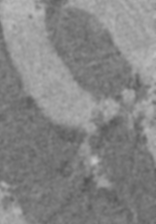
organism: C57BL Mouse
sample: Heart